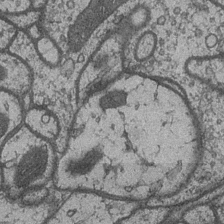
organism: Drosophila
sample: Optic medulla